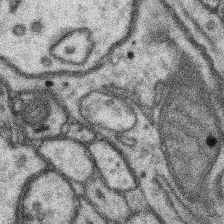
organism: Mouse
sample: Somatosensory cortex neuropil